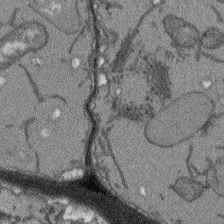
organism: Arabidopsis thaliana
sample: Root tip